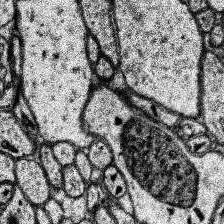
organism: Human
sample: Temporal Lobe